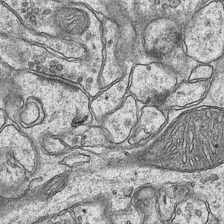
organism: Mouse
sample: CA1 Hippocampus